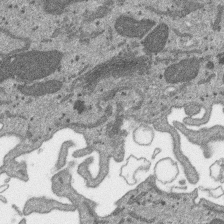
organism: Human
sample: Lung epithelial cells infected with SARS-CoV-2